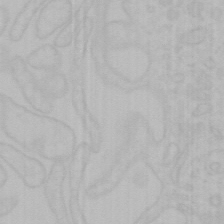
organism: Mouse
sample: Choroid plexus